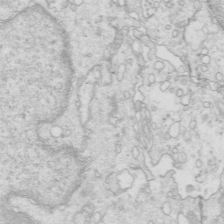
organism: Mouse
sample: Multiciliated cells